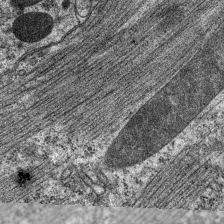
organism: C. elegans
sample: Pharynx